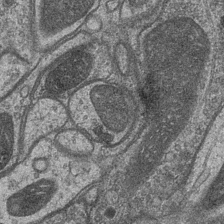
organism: Drosophila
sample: Optic medulla